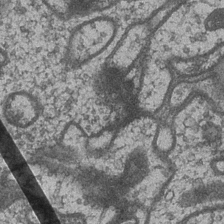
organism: Drosophila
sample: Optic medulla